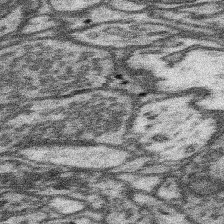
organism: Mouse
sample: Somatosensory cortex neuropil